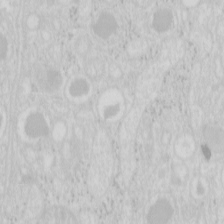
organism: Mouse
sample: Pancreas